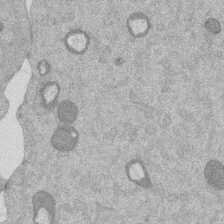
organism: Mouse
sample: Dividing mouse embryo 1 cell stage